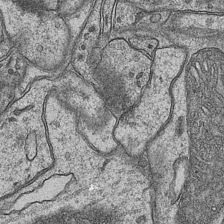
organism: Mouse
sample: CA1 Hippocampus